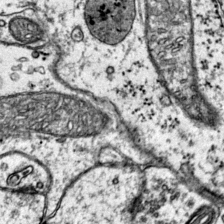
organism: Mouse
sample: Primary visual cortex